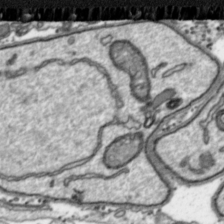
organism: Toxoplasma gondii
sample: Parasites in a vacuole inside a host cell